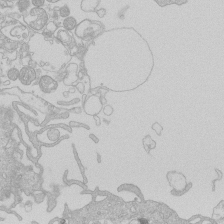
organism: Human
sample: Macrophage cells